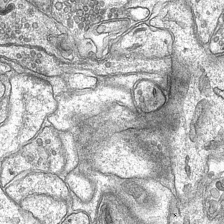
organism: Mouse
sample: CA1 Hippocampus